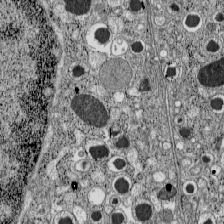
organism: C57BL Mouse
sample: Pancreatic islet